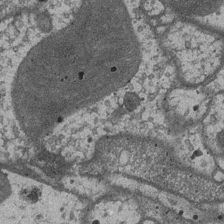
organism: Drosophila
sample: Optic medulla